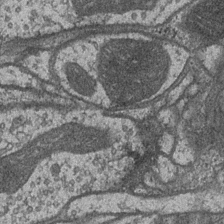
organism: Drosophila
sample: Optic medulla